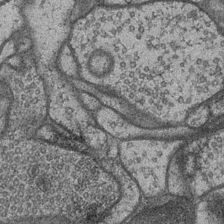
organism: Drosophila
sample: Optic medulla